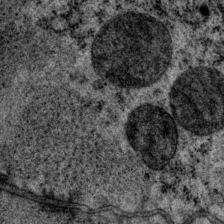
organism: P. pacificus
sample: Pharynx